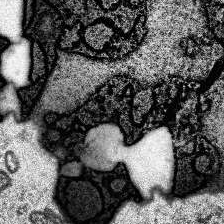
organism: Human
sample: Temporal Lobe